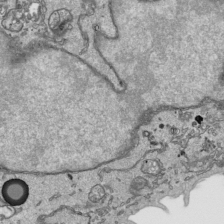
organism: Human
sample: Mitochondria in HCT116 cells